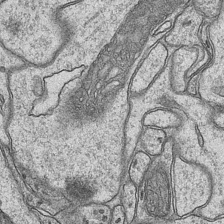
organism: Mouse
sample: CA1 Hippocampus